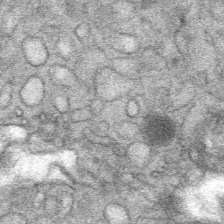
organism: Mouse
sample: Mouse Salivary gland